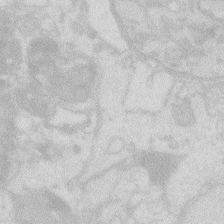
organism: Zebrafish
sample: Macrophage